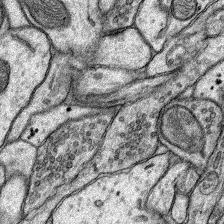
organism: Rat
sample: Hippocampus